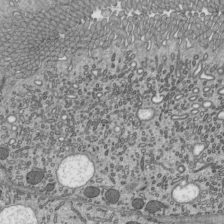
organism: Mouse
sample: Mouse epididymis efferent ductule cilia